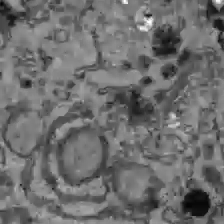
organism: C57BL Mouse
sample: Liver